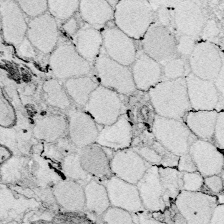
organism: Zebrafish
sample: Whole-Brain